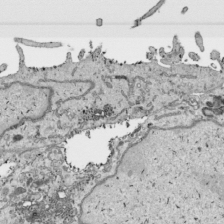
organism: Human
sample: Mitochondria in HCT116 cells